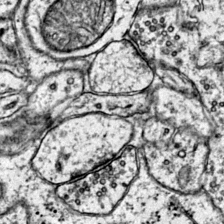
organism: Mouse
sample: Primary visual cortex